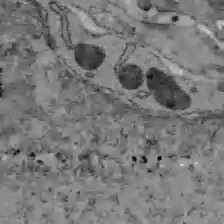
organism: C57BL Mouse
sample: Liver